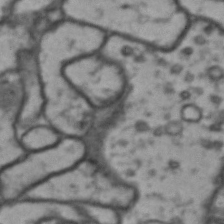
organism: Drosophila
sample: Brain